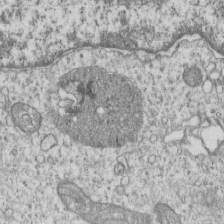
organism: Human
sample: MDA-MB-231 cells